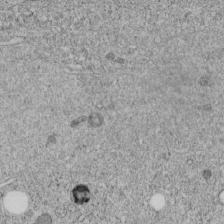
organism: C. elegans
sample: C. elegans embryo early stage